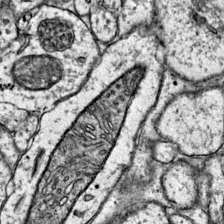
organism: Mouse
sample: Primary visual cortex